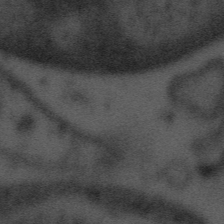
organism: Tuwongella immobilis